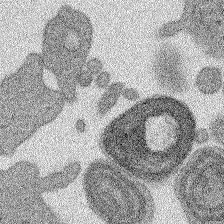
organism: Human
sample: HeLa cells